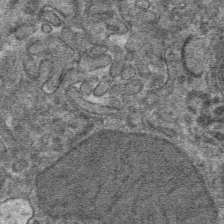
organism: Mouse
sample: Mouse hepatocytes